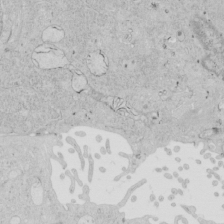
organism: Human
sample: Mitochondria in HCT116 cells